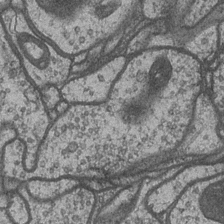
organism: Drosophila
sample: Optic medulla